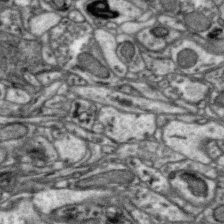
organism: Zebra finch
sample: Brain